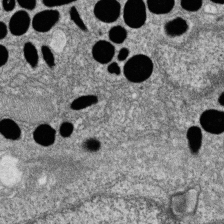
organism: Zebrafish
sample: Cilia; retinal pigment epithelium